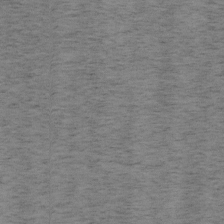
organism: Mouse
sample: OT-I killer T cells with ID8 ovarian cancer cells